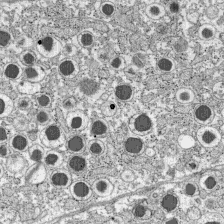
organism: C57BL Mouse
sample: Pancreatic islet